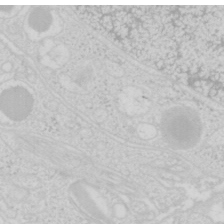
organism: Mouse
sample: Pancreas